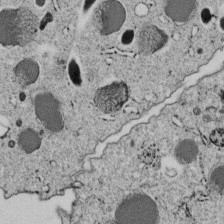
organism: C. elegans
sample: C. elegans embryo early stage